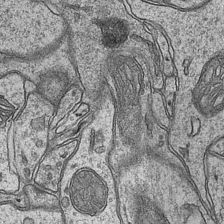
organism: Mouse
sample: CA1 Hippocampus